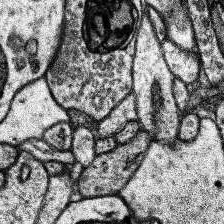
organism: Human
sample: Temporal Lobe